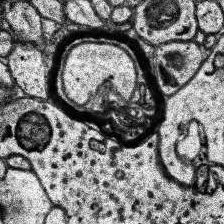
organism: Human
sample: Temporal Lobe